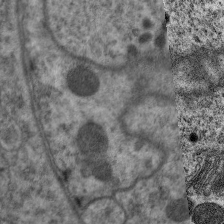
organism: C. elegans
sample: Pharynx